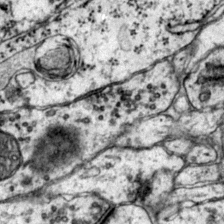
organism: Mouse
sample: Primary visual cortex